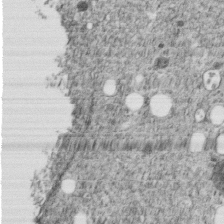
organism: C. elegans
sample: C. elegans embryo early stage